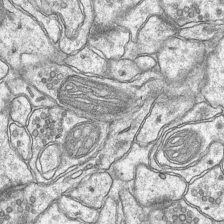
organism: Mouse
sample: CA1 Hippocampus